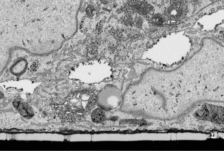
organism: Human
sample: Mitochondria in HCT116 cells